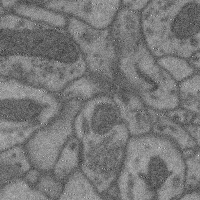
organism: Mouse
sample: Cerebral cortex